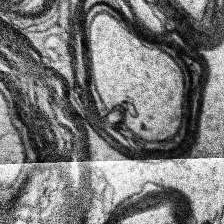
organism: Human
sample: Temporal Lobe